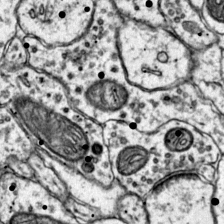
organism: Mouse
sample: Primary visual cortex